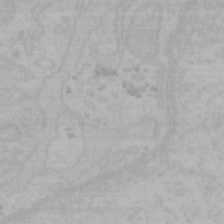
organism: Mouse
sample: Choroid plexus